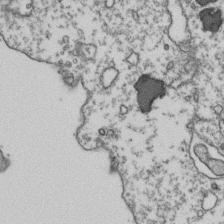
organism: Human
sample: Activated Jurkat CD4+ T cells